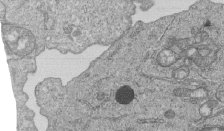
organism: Human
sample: MDA-MB-231 cells